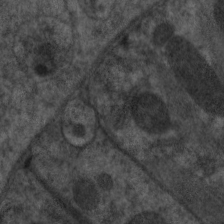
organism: C. elegans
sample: Pharynx